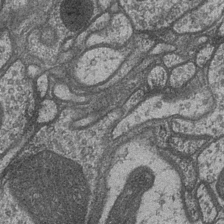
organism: Drosophila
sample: Optic medulla